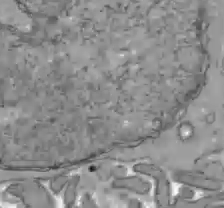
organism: C57BL Mouse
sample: Liver